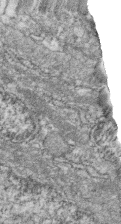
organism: Zebrafish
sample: Cilia; retinal pigment epithelium